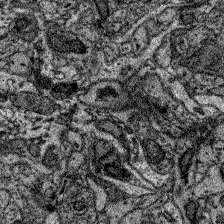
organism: Zebrafish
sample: Larval olfactory bulb